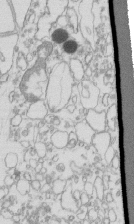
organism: Mouse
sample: Macrophages